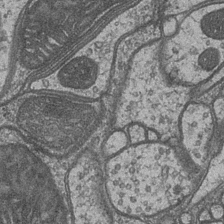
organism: Drosophila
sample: Optic medulla